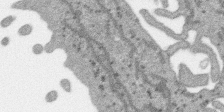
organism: Human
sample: Lung epithelial cells infected with SARS-CoV-2